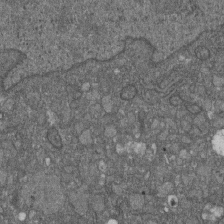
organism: Drosophila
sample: Nephrocyte